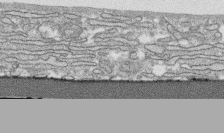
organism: Human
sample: CRL-1474